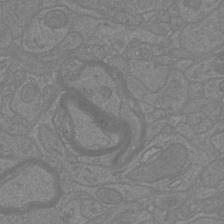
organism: Mouse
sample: Cortical neurons